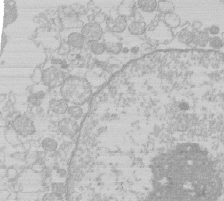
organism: Human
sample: Macrophage cells